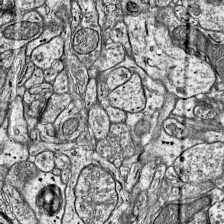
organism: Mouse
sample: Visual Cortex